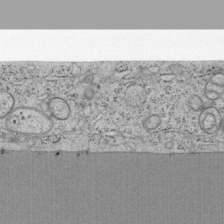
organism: Human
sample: HeLa cells